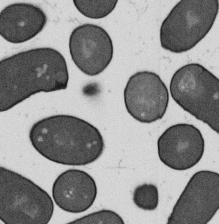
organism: B. subtilis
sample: Bacterial spore